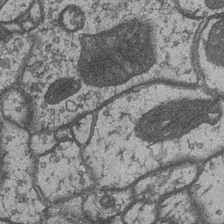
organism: Drosophila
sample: Optic medulla